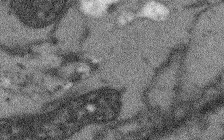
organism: Arabidopsis thaliana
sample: Root tip